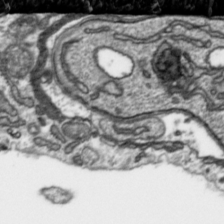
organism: Toxoplasma gondii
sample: Parasites in a vacuole inside a host cell